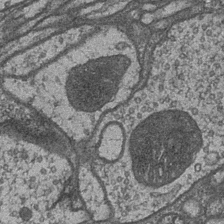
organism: Drosophila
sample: Optic medulla